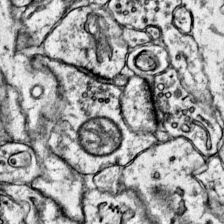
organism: Mouse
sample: Primary visual cortex